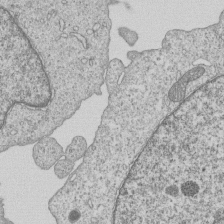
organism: Human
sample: MDA-MB-231 cells